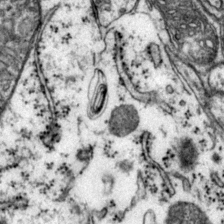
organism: Mouse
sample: Primary visual cortex